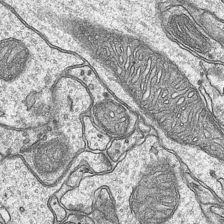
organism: Mouse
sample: CA1 Hippocampus